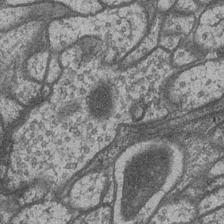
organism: Drosophila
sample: Optic medulla